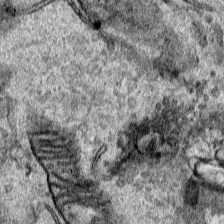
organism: Human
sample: Mitochondria in HCT116 cells